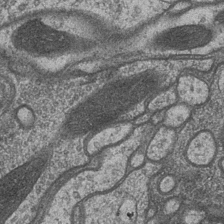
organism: Drosophila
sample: Optic medulla